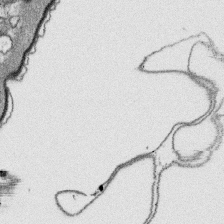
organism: Platynereis dumerilii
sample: Parapodia